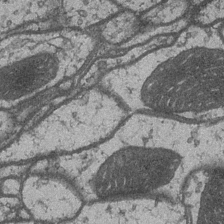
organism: Drosophila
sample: Optic medulla